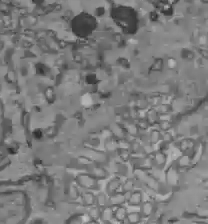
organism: C57BL Mouse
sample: Liver